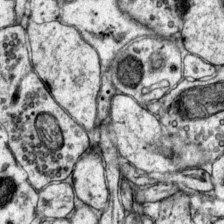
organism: Mouse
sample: Primary visual cortex